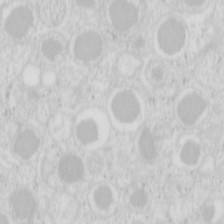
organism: Mouse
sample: Pancreas